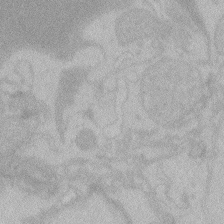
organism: Zebrafish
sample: Macrophage infected with Toxoplasma gondii